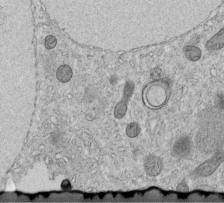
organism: C. elegans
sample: C. elegans embryo early stage